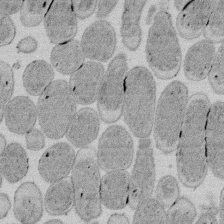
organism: E. coli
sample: Bacterial nucleoid